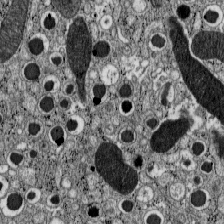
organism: C57BL Mouse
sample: Pancreatic islet